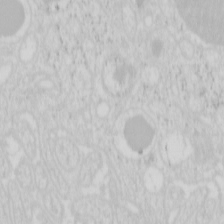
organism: Mouse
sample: Pancreas